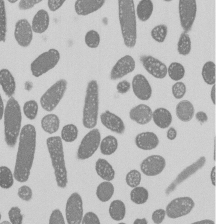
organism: E. coli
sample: Bacterial nucleoid